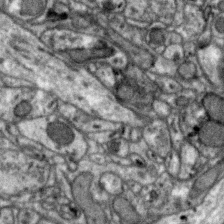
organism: Zebra finch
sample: Brain